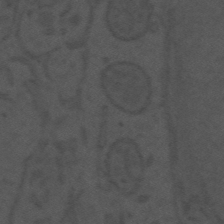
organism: Mouse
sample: Suprachiasmatic nucleus